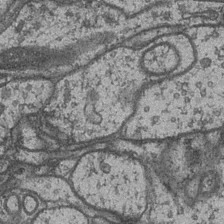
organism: Drosophila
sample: Optic medulla